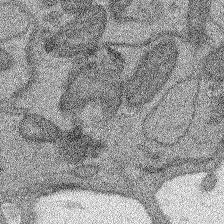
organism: Human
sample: HeLa cells